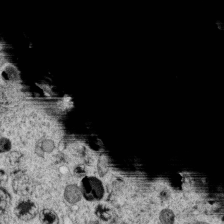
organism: C. elegans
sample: C. elegans oocyte; sperm cells